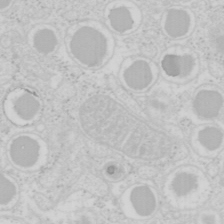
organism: Mouse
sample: Pancreas